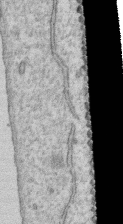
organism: Human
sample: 1205lu cells